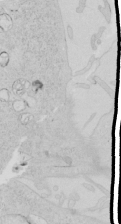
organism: Human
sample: Mitochondria in HCT116 cells